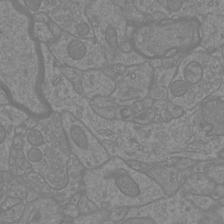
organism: Mouse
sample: Cortical neurons